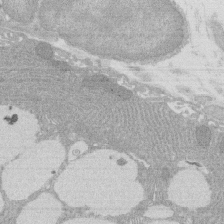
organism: Rat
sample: Salivary granule